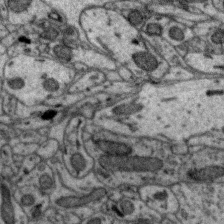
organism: Zebra finch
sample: Brain